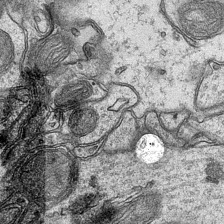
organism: Mouse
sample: CA1 Hippocampus